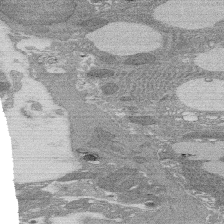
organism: Rat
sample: Salivary granule